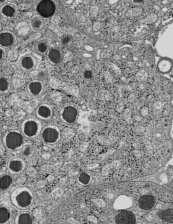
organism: C57BL Mouse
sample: Pancreatic islet